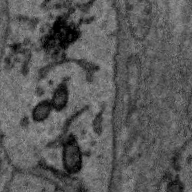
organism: Zebra finch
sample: Brain